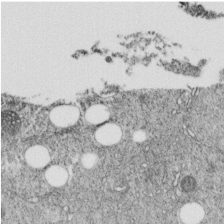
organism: C. elegans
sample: C. elegans embryo early stage